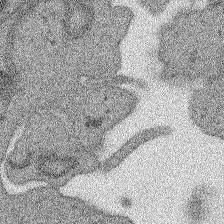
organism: Human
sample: HeLa cells